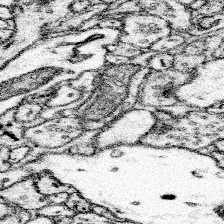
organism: Mouse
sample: Somatosensory cortex neuropil